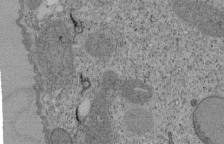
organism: Tetrahymena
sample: Cilia in tetrahymena